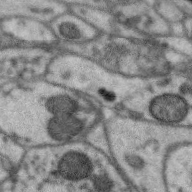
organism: Zebra finch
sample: Brain